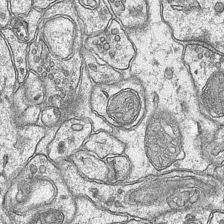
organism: Mouse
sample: CA1 Hippocampus